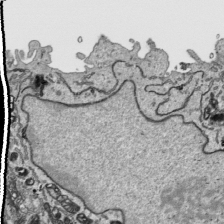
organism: Human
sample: Mitochondria in HCT116 cells